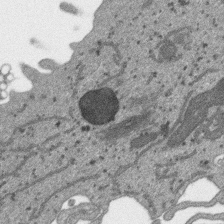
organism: Human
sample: Lung epithelial cells infected with SARS-CoV-2